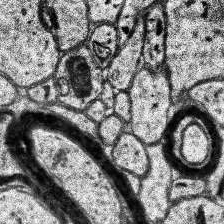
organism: Human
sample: Temporal Lobe